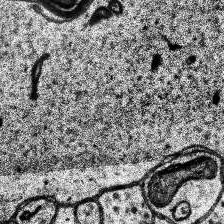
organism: Human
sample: Temporal Lobe